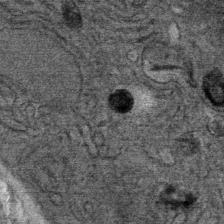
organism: Mouse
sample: Mouse Salivary gland